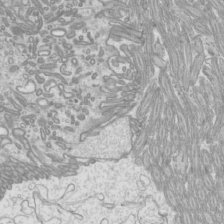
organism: Mouse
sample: Cilia; mouse epididymis